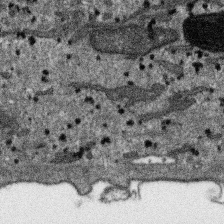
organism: Human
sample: Lung epithelial cells infected with SARS-CoV-2